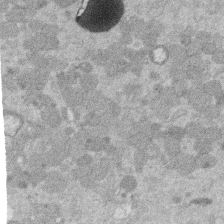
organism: Mouse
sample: Dividing mouse embryo 1 cell stage